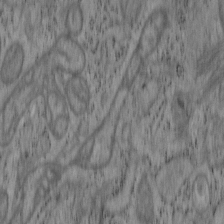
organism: Human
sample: HeLa cells